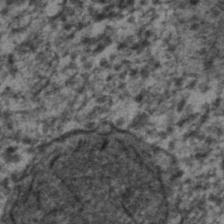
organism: C. elegans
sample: C. elegans embryo